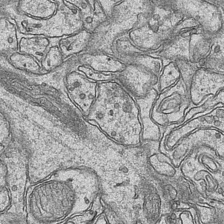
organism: Mouse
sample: CA1 Hippocampus